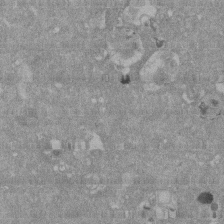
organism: Mouse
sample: ED-1 cell nuclei; centrioles